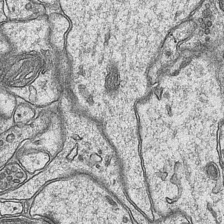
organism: Mouse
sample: CA1 Hippocampus